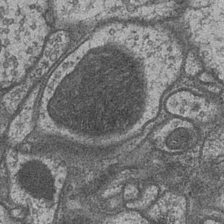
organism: Drosophila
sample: Optic medulla